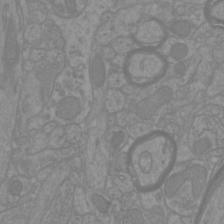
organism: Mouse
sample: Cortical neurons